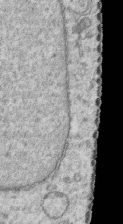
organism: Human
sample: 1205lu cells